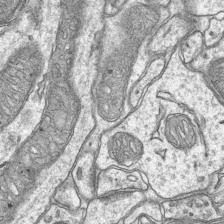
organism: Mouse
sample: CA1 Hippocampus